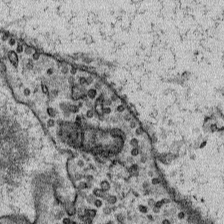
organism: Mouse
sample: Mouse Salivary gland